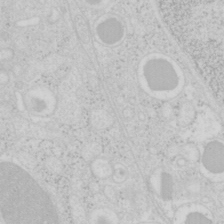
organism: Mouse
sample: Pancreas